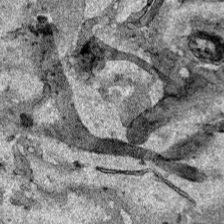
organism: Human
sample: Mitochondria in HCT116 cells